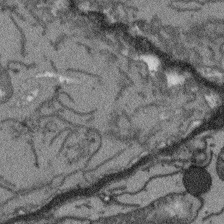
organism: Arabidopsis thaliana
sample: Root tip